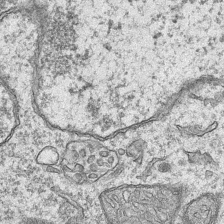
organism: Mouse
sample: CA1 Hippocampus